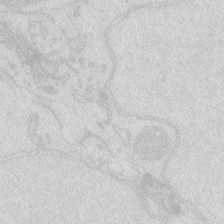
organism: Zebrafish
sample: Macrophage